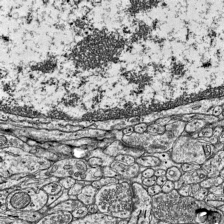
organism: Mouse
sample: Visual Cortex